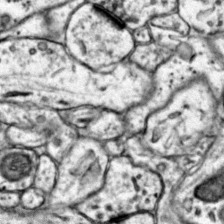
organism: Mouse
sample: Primary visual cortex